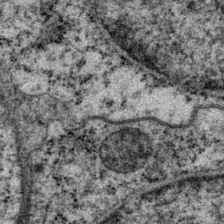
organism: P. pacificus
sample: Pharynx